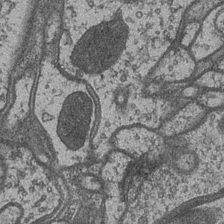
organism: Drosophila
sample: Optic medulla